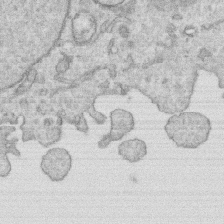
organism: Human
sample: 1205lu cells